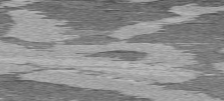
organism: C57BL Mouse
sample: Heart